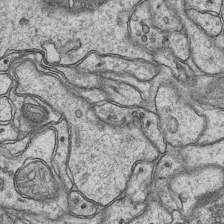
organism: Mouse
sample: CA1 Hippocampus